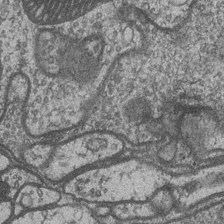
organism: Drosophila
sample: Optic medulla